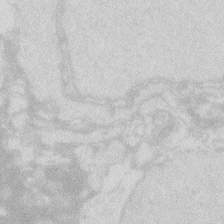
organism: Zebrafish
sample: Macrophage